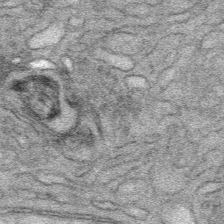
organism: Mouse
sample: Mouse Salivary gland